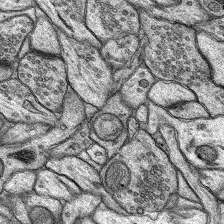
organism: Rat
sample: Hippocampus